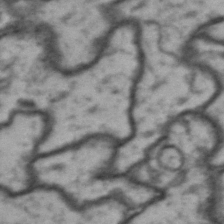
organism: Drosophila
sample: Brain